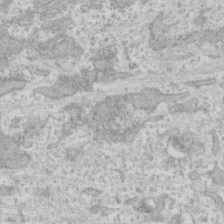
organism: Human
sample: CRL-1474